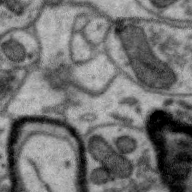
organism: Zebra finch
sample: Brain